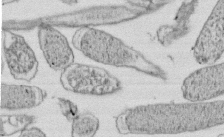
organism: E. coli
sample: Bacterial nucleoid